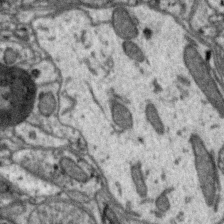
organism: Zebra finch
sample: Brain